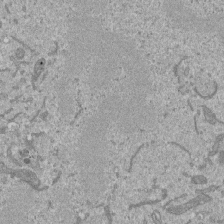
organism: Mouse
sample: ED-1 cell nuclei; centrioles